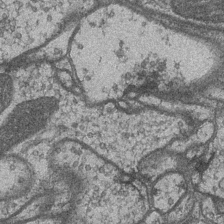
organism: Drosophila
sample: Optic medulla